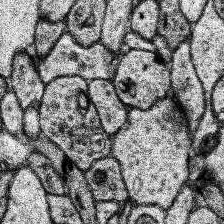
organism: Human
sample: Temporal Lobe